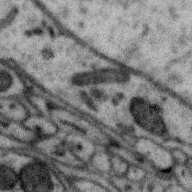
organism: Zebra finch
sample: Brain